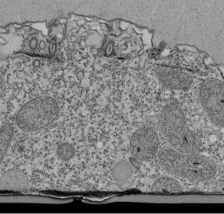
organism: Tetrahymena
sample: Cilia in tetrahymena